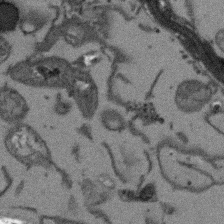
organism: Arabidopsis thaliana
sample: Root tip